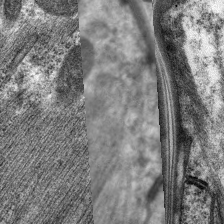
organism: C. elegans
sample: Pharynx